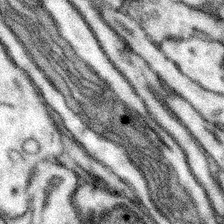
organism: Mouse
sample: Somatosensory cortex neuropil